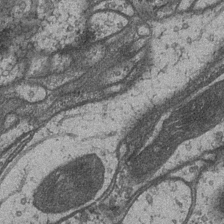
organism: Drosophila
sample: Optic medulla